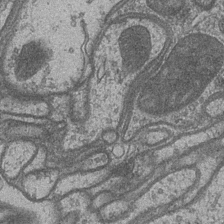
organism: Drosophila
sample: Optic medulla